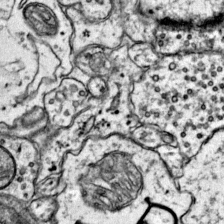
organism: Mouse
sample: Primary visual cortex